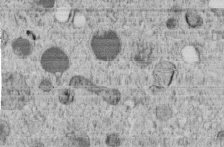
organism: C. elegans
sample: C. elegans embryo early stage